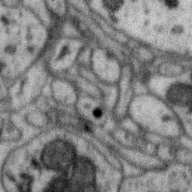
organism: Zebra finch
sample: Brain